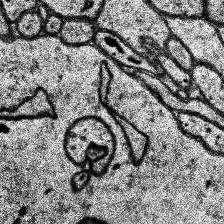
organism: Human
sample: Temporal Lobe